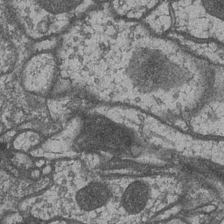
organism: Drosophila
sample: Optic medulla